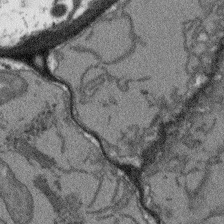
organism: Arabidopsis thaliana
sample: Root tip